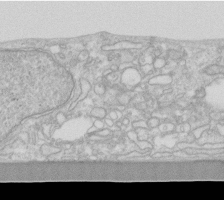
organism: Human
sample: Fibroblast cells